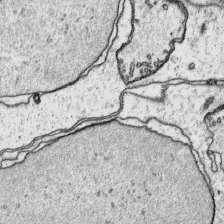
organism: Platynereis dumerilii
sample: Parapodia